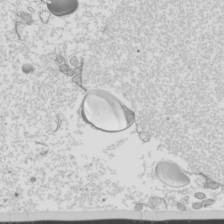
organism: Mouse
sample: Cilia; mouse epididymis